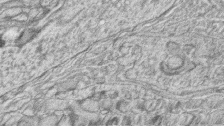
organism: Zebrafish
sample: synaptic ribbons in rod cells and cone cells